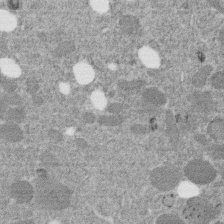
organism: C. elegans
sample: C. elegans embryo early stage